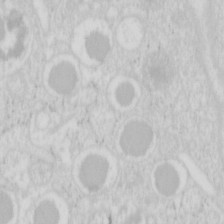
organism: Mouse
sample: Pancreas